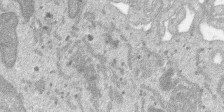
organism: Human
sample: Lung epithelial cells infected with SARS-CoV-2